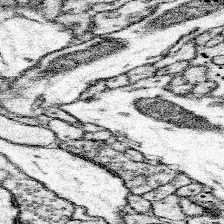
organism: Mouse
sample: Somatosensory cortex neuropil